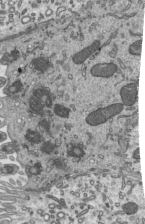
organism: Mouse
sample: Mouse epididymis efferent ductule cilia